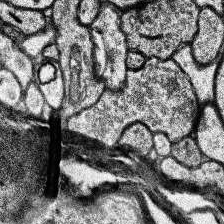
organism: Human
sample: Temporal Lobe